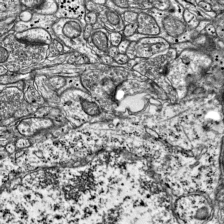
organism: Mouse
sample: Visual Cortex